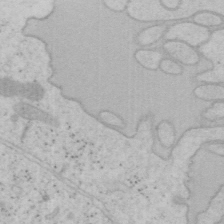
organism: Human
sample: HeLa cells